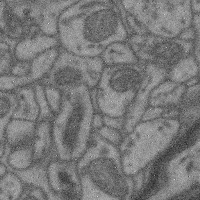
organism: Mouse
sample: Cerebral cortex